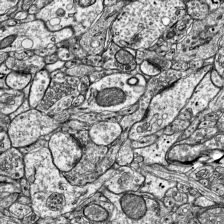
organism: Mouse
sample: Visual Cortex